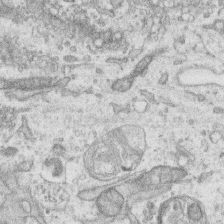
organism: Human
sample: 1205lu cells